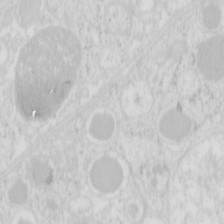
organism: Mouse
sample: Pancreas